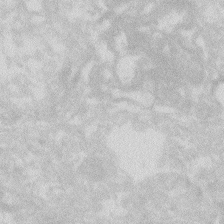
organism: Zebrafish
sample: Macrophage